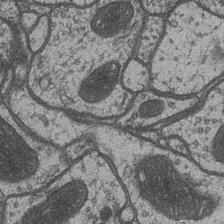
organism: Drosophila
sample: Optic medulla